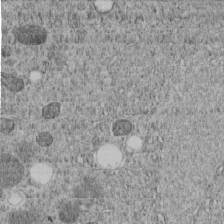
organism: C. elegans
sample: C. elegans embryo early stage